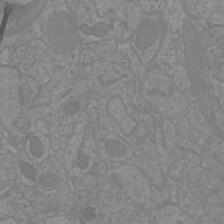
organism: Mouse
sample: Cortical neurons